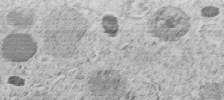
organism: C. elegans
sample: C. elegans embryo early stage